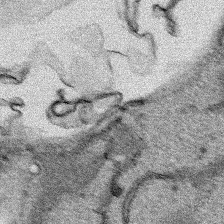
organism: Human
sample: Mitochondria in HCT116 cells